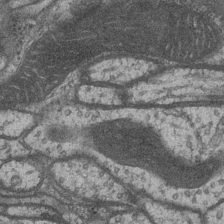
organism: Drosophila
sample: Optic medulla